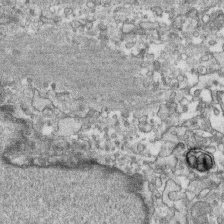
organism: Human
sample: CRL-1474